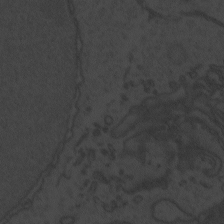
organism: Zebrafish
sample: Macrophage infected with Toxoplasma gondii